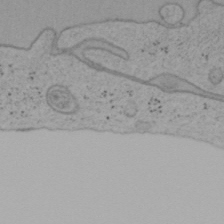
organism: Human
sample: HeLa cells